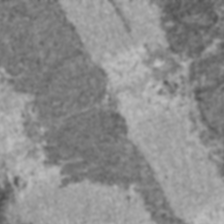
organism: C57BL Mouse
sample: Heart